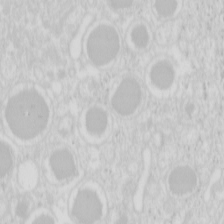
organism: Mouse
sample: Pancreas